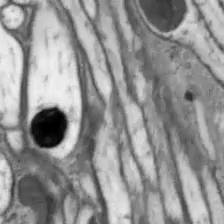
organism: Drosophila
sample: Optic lobe